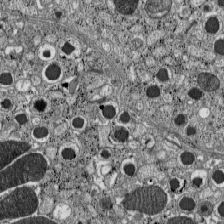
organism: C57BL Mouse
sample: Pancreatic islet